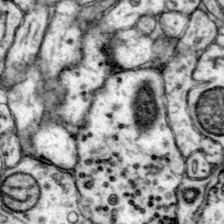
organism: Mouse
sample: Primary visual cortex